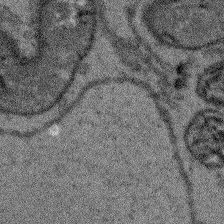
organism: Arabidopsis thaliana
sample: Root tip